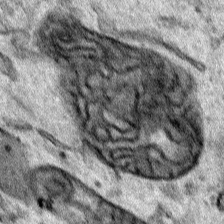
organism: Human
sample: Mitochondria in HCT116 cells